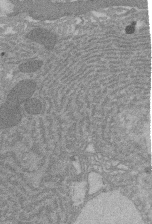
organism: Rat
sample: Salivary granule